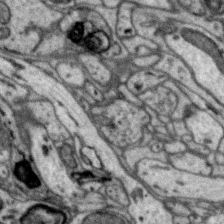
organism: Zebra finch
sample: Brain